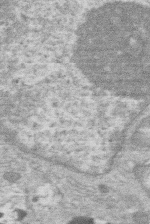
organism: Human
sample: Macrophage cells